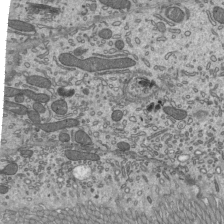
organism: Mouse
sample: Mouse epididymis efferent ductule cilia